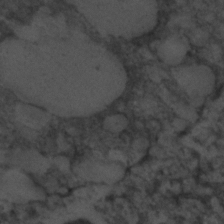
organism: C. elegans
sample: C. elegans embryo